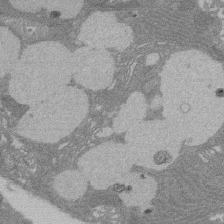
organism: Rat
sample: Salivary granule